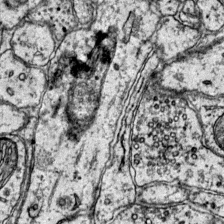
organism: Mouse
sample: Primary visual cortex